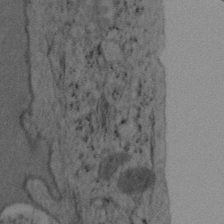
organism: Human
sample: HeLa cells